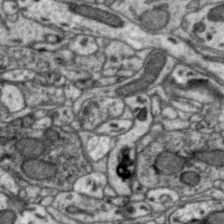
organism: Zebra finch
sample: Brain